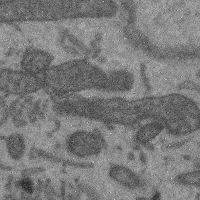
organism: Mouse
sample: Cerebral cortex